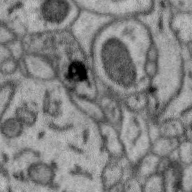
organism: Zebra finch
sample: Brain